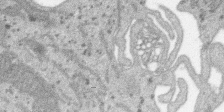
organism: Human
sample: Lung epithelial cells infected with SARS-CoV-2